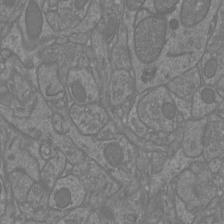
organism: Mouse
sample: Cortical neurons